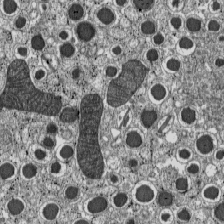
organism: C57BL Mouse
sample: Pancreatic islet